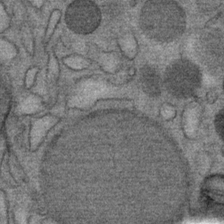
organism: Mouse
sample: Mouse Salivary gland